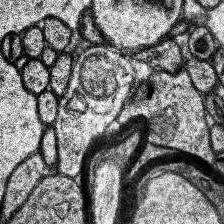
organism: Human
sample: Temporal Lobe